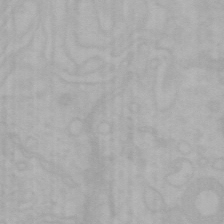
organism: Mouse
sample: Choroid plexus